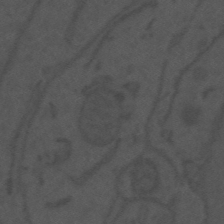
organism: Mouse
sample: Suprachiasmatic nucleus